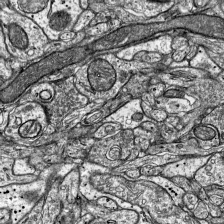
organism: Mouse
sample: Visual Cortex